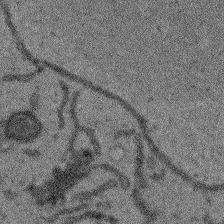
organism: Arabidopsis thaliana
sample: Root tip